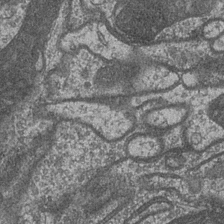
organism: Drosophila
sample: Optic medulla